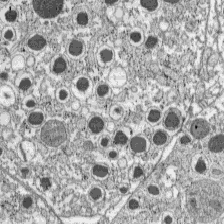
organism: C57BL Mouse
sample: Pancreatic islet